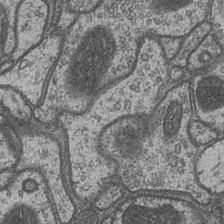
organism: Drosophila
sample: Optic medulla